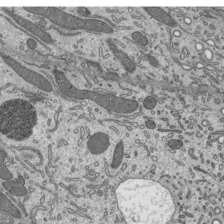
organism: Mouse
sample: Mouse epididymis efferent ductule cilia